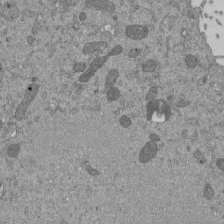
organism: Mouse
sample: ED-1 cell nuclei; centrioles